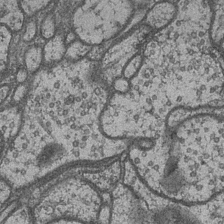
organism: Drosophila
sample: Optic medulla